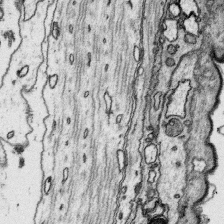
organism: Platynereis dumerilii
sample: Parapodia